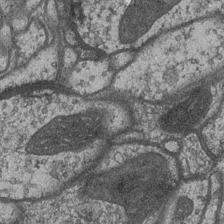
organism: Drosophila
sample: Optic medulla